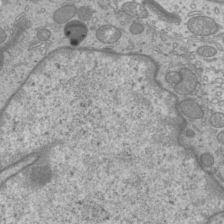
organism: Mouse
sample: Cilia; mouse epididymis